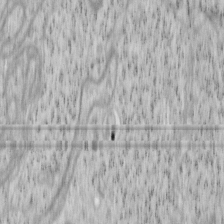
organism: Human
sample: HeLa cells